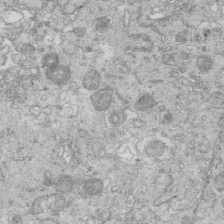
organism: Mouse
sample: Multiciliated cells